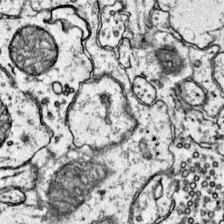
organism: Mouse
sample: Primary visual cortex